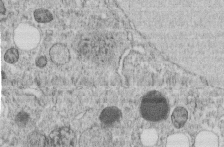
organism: C. elegans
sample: C. elegans embryo early stage